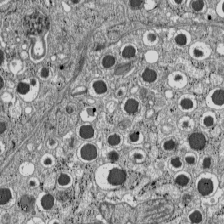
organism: C57BL Mouse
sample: Pancreatic islet